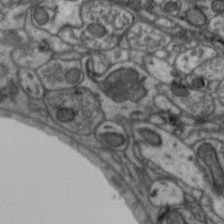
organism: Zebra finch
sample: Brain